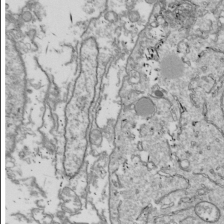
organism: Drosophila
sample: Cell division; meiosis; drosophila spermatocytes